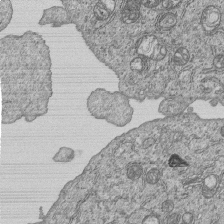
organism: Human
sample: MDA-MB-231 cells